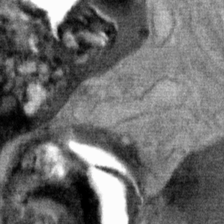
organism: Mouse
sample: Mouse Salivary gland